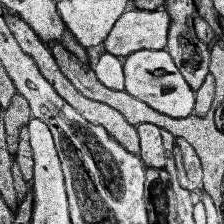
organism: Human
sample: Temporal Lobe